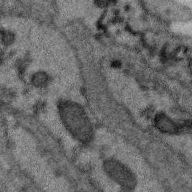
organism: Zebra finch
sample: Brain